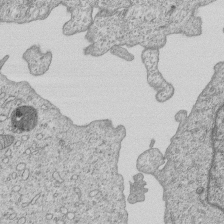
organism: Human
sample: MDA-MB-231 cells